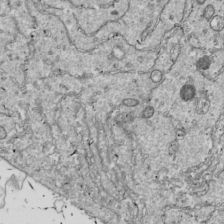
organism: Drosophila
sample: Cell division; meiosis; drosophila spermatocytes